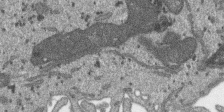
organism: Human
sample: Lung epithelial cells infected with SARS-CoV-2